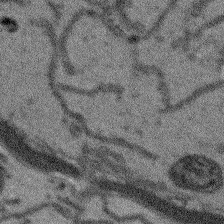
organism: Arabidopsis thaliana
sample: Root tip